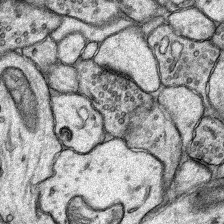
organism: Rat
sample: Hippocampus